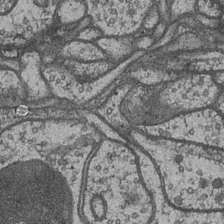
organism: Drosophila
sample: Optic medulla